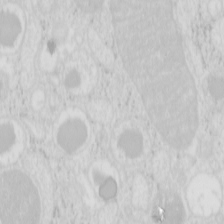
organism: Mouse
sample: Pancreas